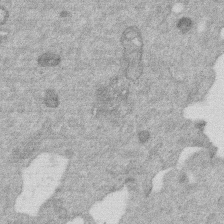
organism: Mouse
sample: Dividing mouse embryo 1 cell stage